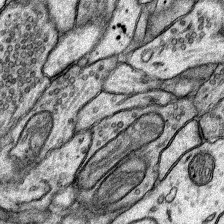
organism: Rat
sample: Hippocampus